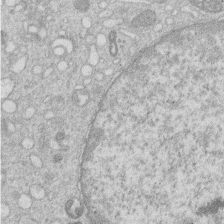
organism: Human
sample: Macrophage cells